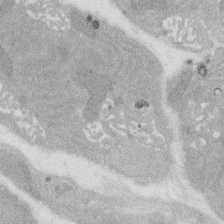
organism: Rat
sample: Salivary granule